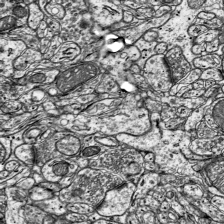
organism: Mouse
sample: Visual Cortex